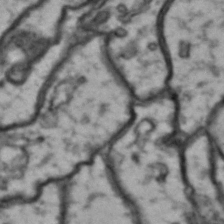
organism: Drosophila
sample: Brain